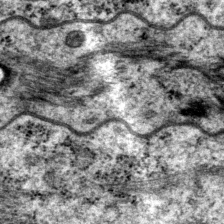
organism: P. pacificus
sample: Pharynx